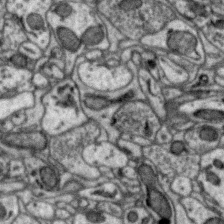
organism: Zebra finch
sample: Brain